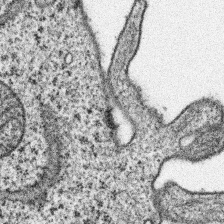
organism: Human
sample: HeLa cells